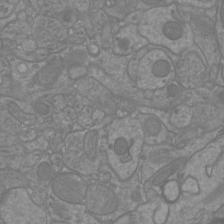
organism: Mouse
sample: Cortical neurons